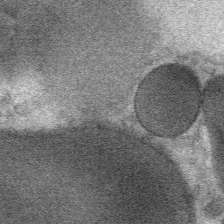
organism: Mouse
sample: Mouse Salivary gland